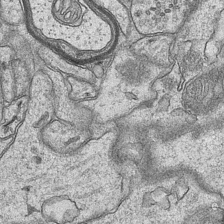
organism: Mouse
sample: CA1 Hippocampus